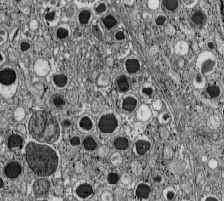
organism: C57BL Mouse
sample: Pancreatic islet